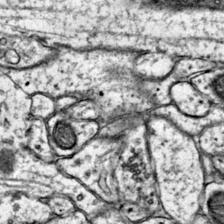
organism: Mouse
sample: Primary visual cortex